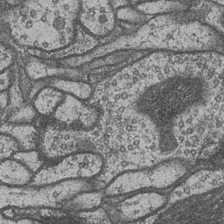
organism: Drosophila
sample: Optic medulla